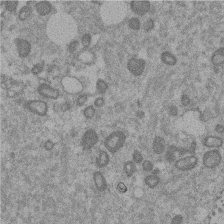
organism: Mouse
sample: Dividing mouse embryo 1 cell stage